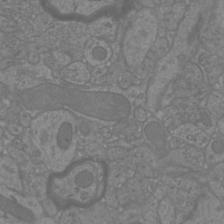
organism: Mouse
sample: Cortical neurons